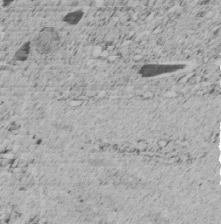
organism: C. elegans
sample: C. elegans embryo early stage